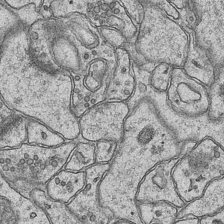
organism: Mouse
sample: CA1 Hippocampus